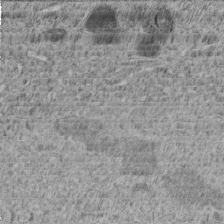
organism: C. elegans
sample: C. elegans embryo early stage